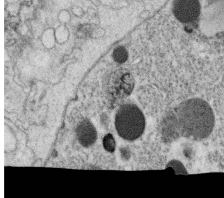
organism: C. elegans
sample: C. elegans oocyte; sperm cells